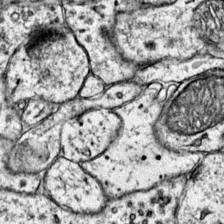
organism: Mouse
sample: Primary visual cortex